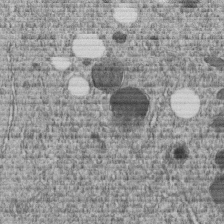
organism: C. elegans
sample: C. elegans embryo early stage